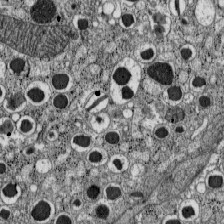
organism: C57BL Mouse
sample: Pancreatic islet